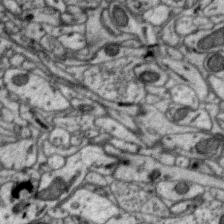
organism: Zebra finch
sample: Brain